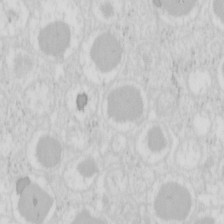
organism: Mouse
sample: Pancreas